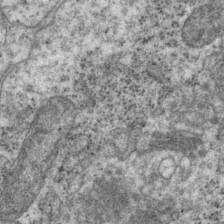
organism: P. pacificus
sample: Pharynx